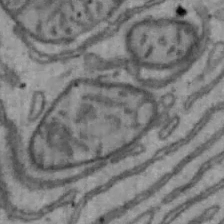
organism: Mouse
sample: Liver